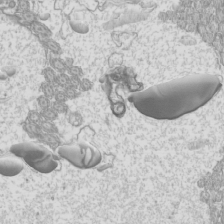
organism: Mouse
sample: Cilia; mouse epididymis